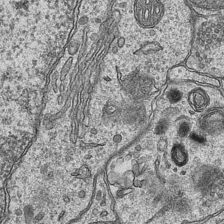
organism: Mouse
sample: CA1 Hippocampus